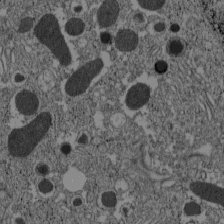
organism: C57BL Mouse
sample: Pancreatic islet